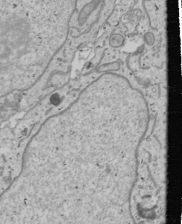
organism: Human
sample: Mitochondria in U2OS cells